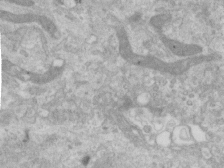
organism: Human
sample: Centriole in RPE cells